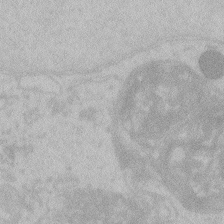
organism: Zebrafish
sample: Macrophage infected with Toxoplasma gondii